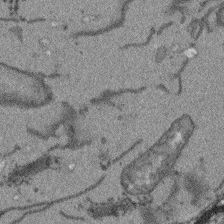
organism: Arabidopsis thaliana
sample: Root tip